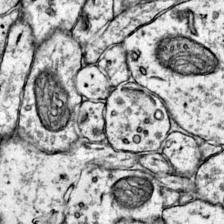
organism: Mouse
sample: Primary visual cortex